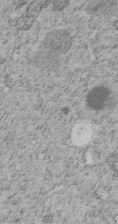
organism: C. elegans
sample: C. elegans embryo early stage